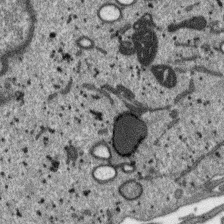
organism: Human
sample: Lung epithelial cells infected with SARS-CoV-2